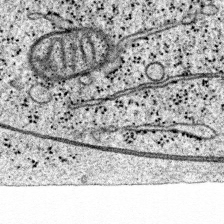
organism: Human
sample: HeLa cells